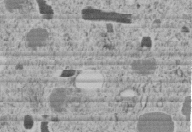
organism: C. elegans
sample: C. elegans embryo early stage